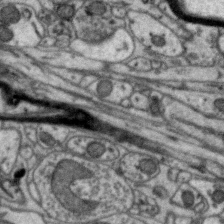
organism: Zebra finch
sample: Brain